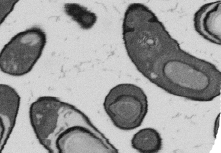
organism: B. subtilis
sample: Bacterial spore